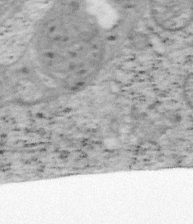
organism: Mouse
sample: OT-I killer T cells with ID8 ovarian cancer cells